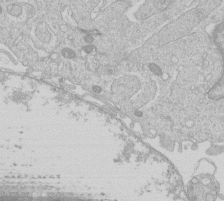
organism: Human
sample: Macrophage cells